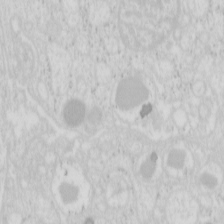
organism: Mouse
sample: Pancreas